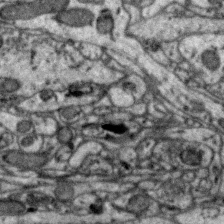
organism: Zebra finch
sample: Brain